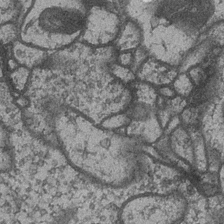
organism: Drosophila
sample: Optic medulla